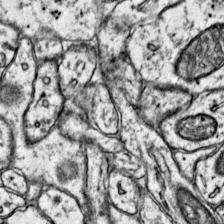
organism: Mouse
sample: Primary visual cortex